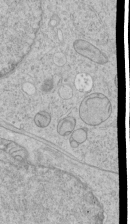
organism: Human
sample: Mitochondria in HCT116 cells